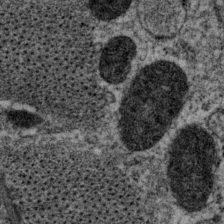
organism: P. pacificus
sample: Pharynx